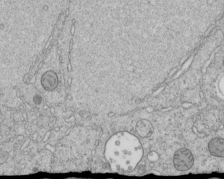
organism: C. elegans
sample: C. elegans embryo early stage